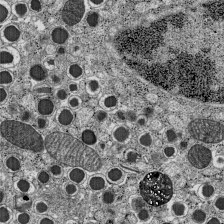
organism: C57BL Mouse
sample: Pancreatic islet